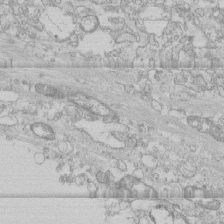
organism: Human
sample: CRL-1474